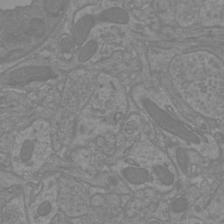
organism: Mouse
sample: Cortical neurons